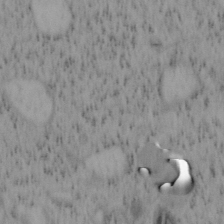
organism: Mouse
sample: OT-I killer T cells with ID8 ovarian cancer cells